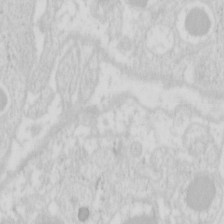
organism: Mouse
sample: Pancreas